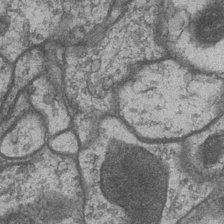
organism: Drosophila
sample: Optic medulla